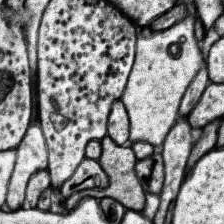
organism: Human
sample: Temporal Lobe